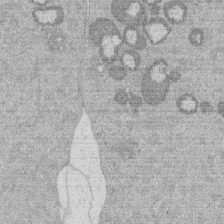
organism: Mouse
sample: Dividing mouse embryo 1 cell stage